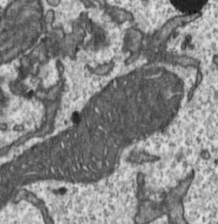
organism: Toxoplasma gondii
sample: Parasites in a vacuole inside a host cell